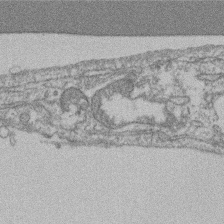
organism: Mouse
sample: T cell stromal cell synapse